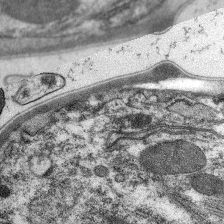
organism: C. elegans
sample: Pharynx